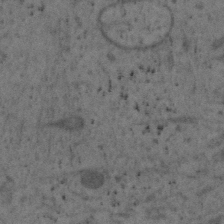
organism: Human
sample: HeLa cells